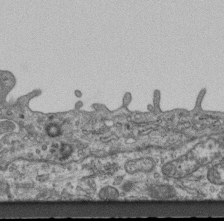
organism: Mouse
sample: Centriole in ependymal cells